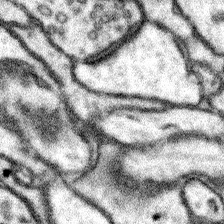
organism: Mouse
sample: Somatosensory cortex neuropil